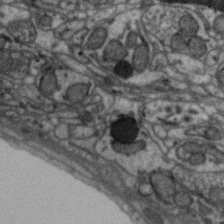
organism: Zebra finch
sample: Brain